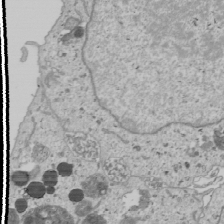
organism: Human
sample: Mitochondria in U2OS cells